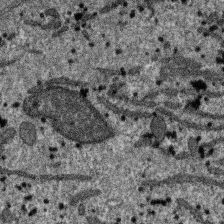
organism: Human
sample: Lung epithelial cells infected with SARS-CoV-2